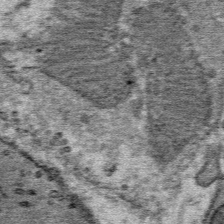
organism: Mouse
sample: Mouse Salivary gland